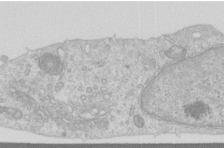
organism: Human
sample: Centriole in RPE cells